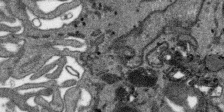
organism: Human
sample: Lung epithelial cells, uninfected (mock) control